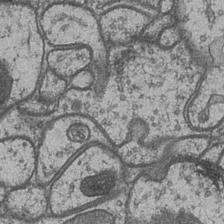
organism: Drosophila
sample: Optic medulla